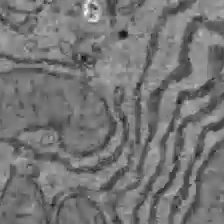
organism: C57BL Mouse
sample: Liver